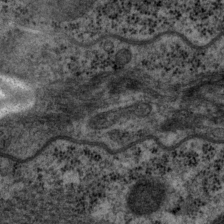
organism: P. pacificus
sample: Pharynx